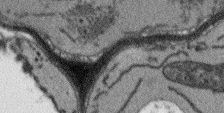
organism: Arabidopsis thaliana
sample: Root tip